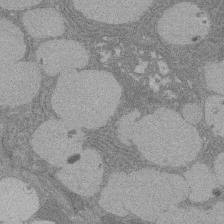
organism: Rat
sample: Salivary granule